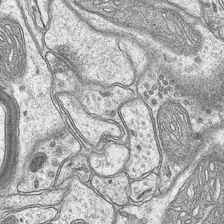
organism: Mouse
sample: CA1 Hippocampus